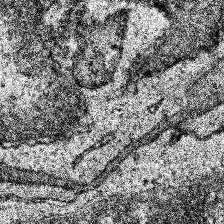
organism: Human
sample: Temporal Lobe